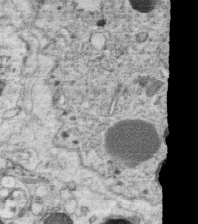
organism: C. elegans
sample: C. elegans oocyte; sperm cells